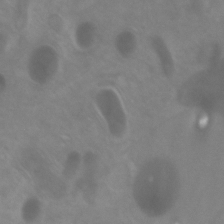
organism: Zebrafish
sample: Zebrafish embryo